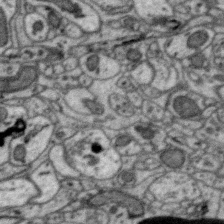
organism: Zebra finch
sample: Brain